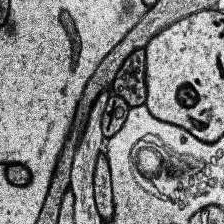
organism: Human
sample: Temporal Lobe